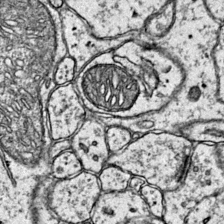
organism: Mouse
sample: Primary visual cortex